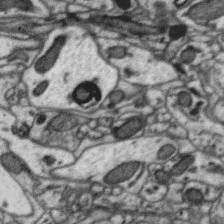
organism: Zebra finch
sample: Brain